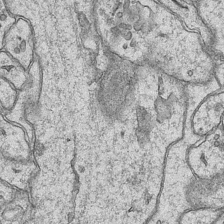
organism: Mouse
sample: CA1 Hippocampus